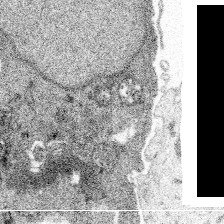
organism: Spongilla lacustris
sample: Multiple